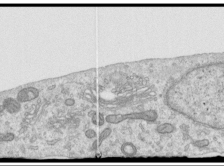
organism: Human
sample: Centriole in RPE cells